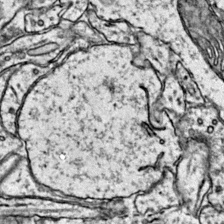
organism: Mouse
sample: Primary visual cortex